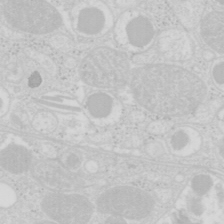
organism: Mouse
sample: Pancreas